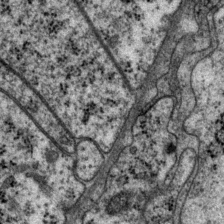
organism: P. pacificus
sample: Pharynx